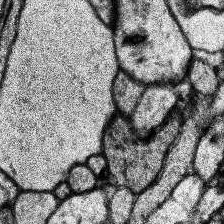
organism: Human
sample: Temporal Lobe